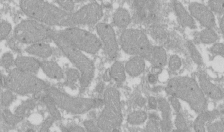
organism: Xenopus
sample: Cilia; centrioles in frog embryo cells